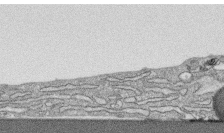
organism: Human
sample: CRL-1474